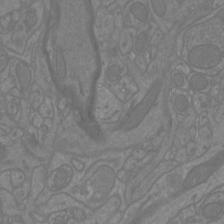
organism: Mouse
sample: Cortical neurons